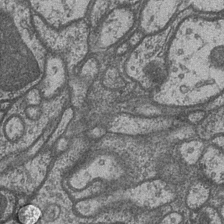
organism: Drosophila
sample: Optic medulla